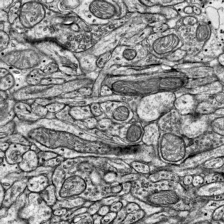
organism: Mouse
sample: Visual Cortex